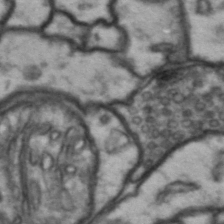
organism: Drosophila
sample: Brain